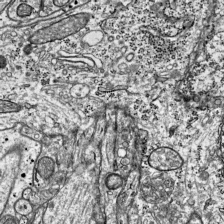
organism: Mouse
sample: Visual Cortex